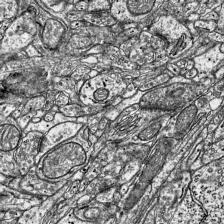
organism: Mouse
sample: Visual Cortex